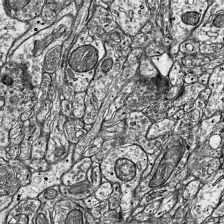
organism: Mouse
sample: Visual Cortex